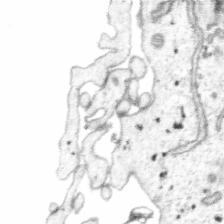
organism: Human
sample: HeLa cells